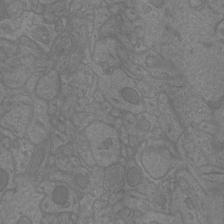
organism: Mouse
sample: Cortical neurons